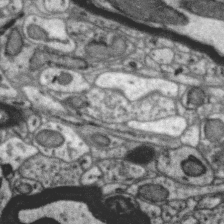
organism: Zebra finch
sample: Brain